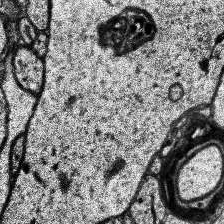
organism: Human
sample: Temporal Lobe